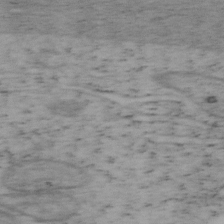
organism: Mouse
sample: OT-I killer T cells with ID8 ovarian cancer cells